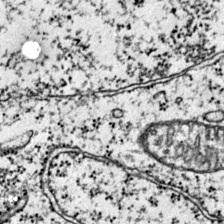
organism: Mouse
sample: Primary visual cortex